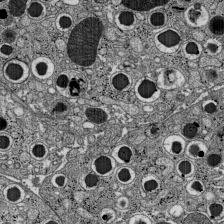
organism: C57BL Mouse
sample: Pancreatic islet